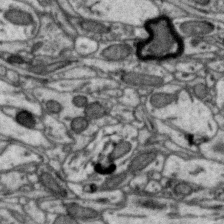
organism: Zebra finch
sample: Brain